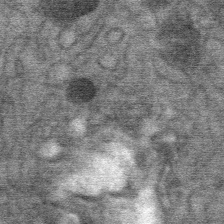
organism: Mouse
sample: Mouse Salivary gland